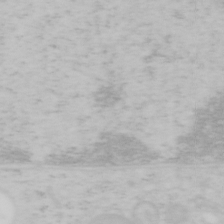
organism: Mouse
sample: OT-I killer T cells with ID8 ovarian cancer cells